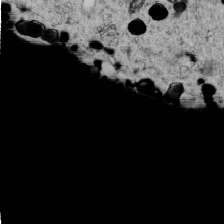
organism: C. elegans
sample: C. elegans embryo early stage